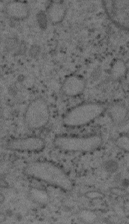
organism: Human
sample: HeLa cells